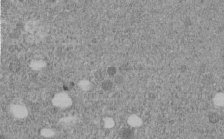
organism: C. elegans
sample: C. elegans embryo early stage